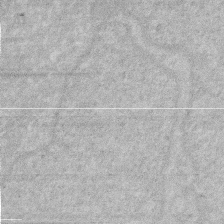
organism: Human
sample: HIV infected U937 cells